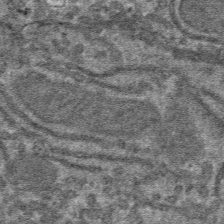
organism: Mouse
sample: Mouse hepatocytes